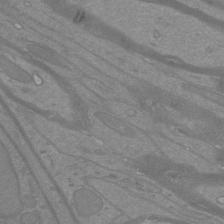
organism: Mouse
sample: Cortical neurons